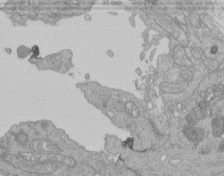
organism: Human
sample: Retinal organoid Rod and Cone cells